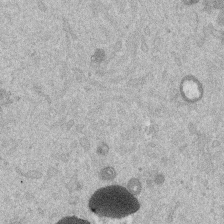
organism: Mouse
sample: Dividing mouse embryo 1 cell stage